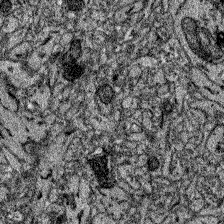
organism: Zebrafish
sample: Larval olfactory bulb